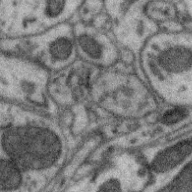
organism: Zebra finch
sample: Brain